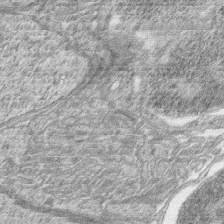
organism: Zebrafish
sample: synaptic ribbons in rod cells and cone cells